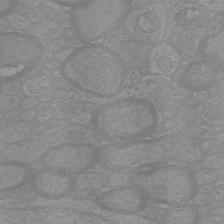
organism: Mouse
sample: Cortical neurons